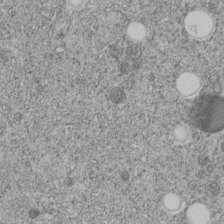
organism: C. elegans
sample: C. elegans embryo early stage